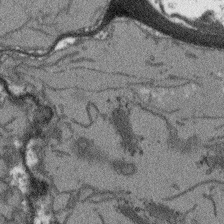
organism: Arabidopsis thaliana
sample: Root tip